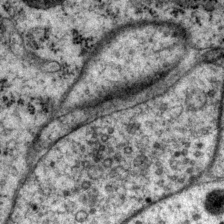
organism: P. pacificus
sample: Pharynx